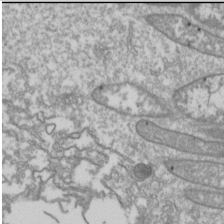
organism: Drosophila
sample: Cell division; meiosis; drosophila spermatocytes